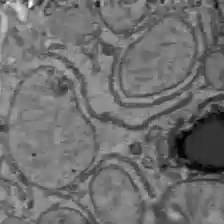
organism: C57BL Mouse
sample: Liver